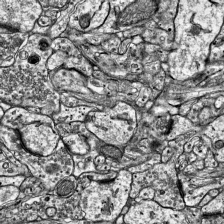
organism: Mouse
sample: Visual Cortex